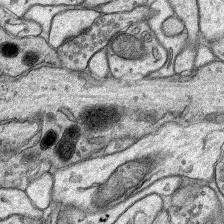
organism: Rat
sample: Hippocampus